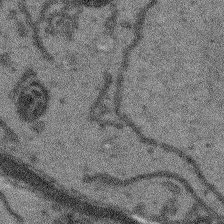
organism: Arabidopsis thaliana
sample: Root tip